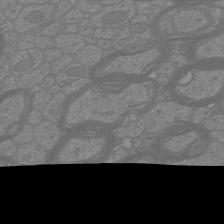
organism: Mouse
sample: Cortical neurons